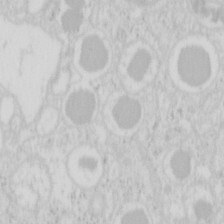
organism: Mouse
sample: Pancreas